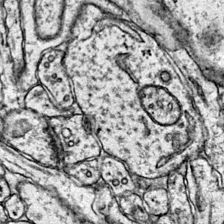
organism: Mouse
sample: Primary visual cortex